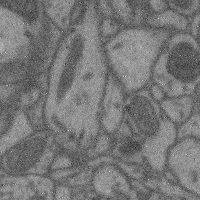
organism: Mouse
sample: Cerebral cortex